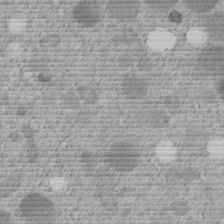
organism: C. elegans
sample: C. elegans embryo early stage